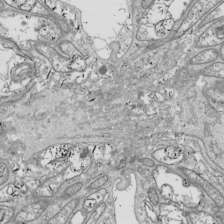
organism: Drosophila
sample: Cell division; meiosis; drosophila spermatocytes